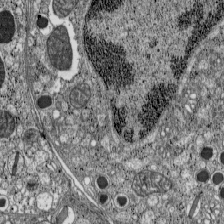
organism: C57BL Mouse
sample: Pancreatic islet